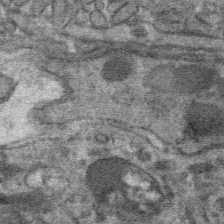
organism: Mouse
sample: Mouse hepatocytes